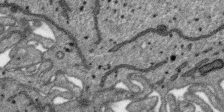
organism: Human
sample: Lung epithelial cells, uninfected (mock) control